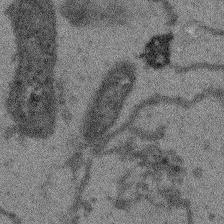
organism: Arabidopsis thaliana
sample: Root tip